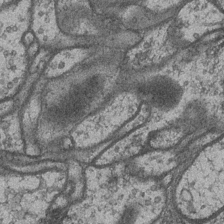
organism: Drosophila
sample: Optic medulla